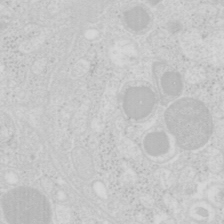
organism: Mouse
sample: Pancreas